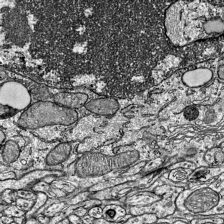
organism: Mouse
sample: Visual Cortex